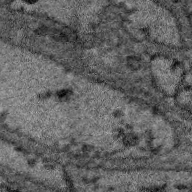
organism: Zebra finch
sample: Brain